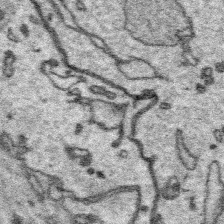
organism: Platynereis dumerilii